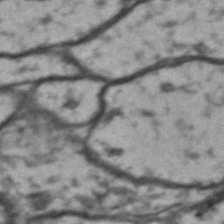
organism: Drosophila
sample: Brain